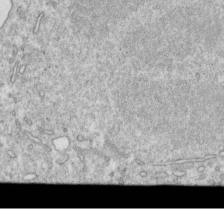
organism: Mouse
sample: Activated OT-1 CD8+ T cells